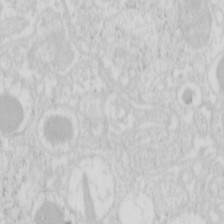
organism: Mouse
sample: Pancreas